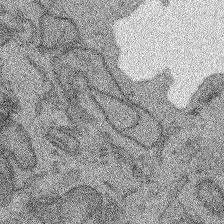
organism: Human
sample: HeLa cells